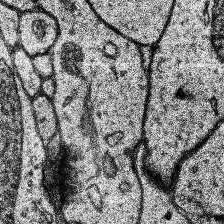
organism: Human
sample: Temporal Lobe